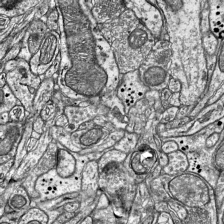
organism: Mouse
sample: Visual Cortex